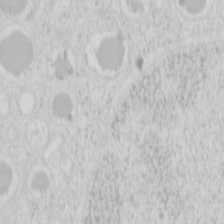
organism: Mouse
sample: Pancreas